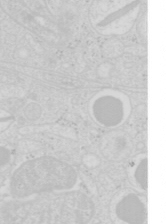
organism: Mouse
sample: Pancreas